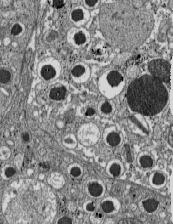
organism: C57BL Mouse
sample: Pancreatic islet